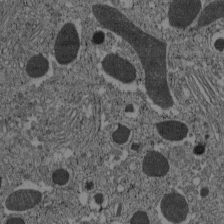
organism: C57BL Mouse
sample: Pancreatic islet